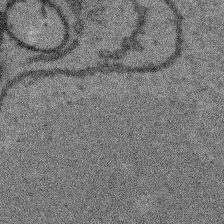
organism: Arabidopsis thaliana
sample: Root tip